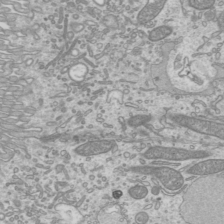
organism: Mouse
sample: Cilia; mouse epididymis